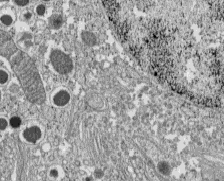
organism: C57BL Mouse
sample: Pancreatic islet